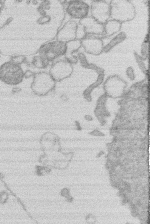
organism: Human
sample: Macrophage cells